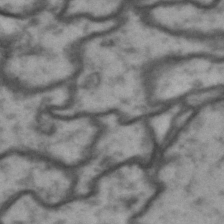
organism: Drosophila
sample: Brain